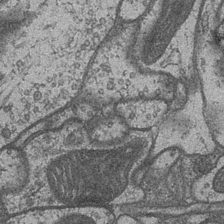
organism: Drosophila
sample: Optic medulla